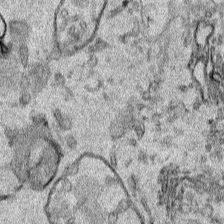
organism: Human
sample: Mitochondria in HCT116 cells